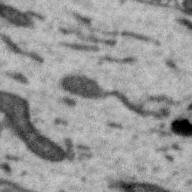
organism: Zebra finch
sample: Brain